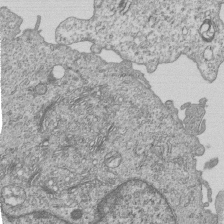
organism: Human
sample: MDA-MB-231 cells